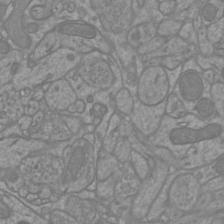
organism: Mouse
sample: Cortical neurons